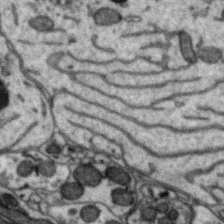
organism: Zebra finch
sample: Brain